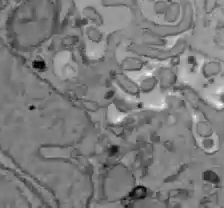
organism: C57BL Mouse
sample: Liver